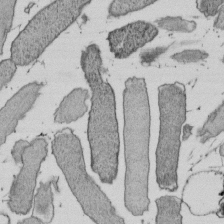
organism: E. coli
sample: Bacterial nucleoid